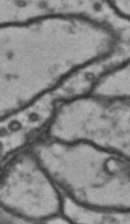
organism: Drosophila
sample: Brain